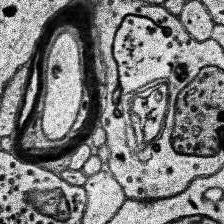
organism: Human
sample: Temporal Lobe